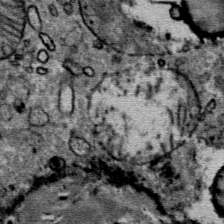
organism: Mouse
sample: Mouse Salivary gland